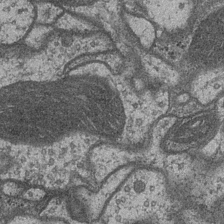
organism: Drosophila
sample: Optic medulla